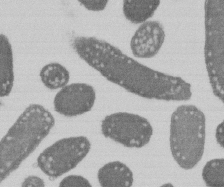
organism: E. coli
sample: Bacterial nucleoid